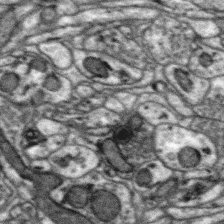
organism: Zebra finch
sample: Brain